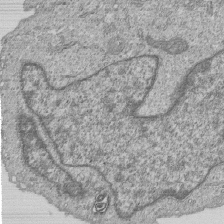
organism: Human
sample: MDA-MB-231 cells